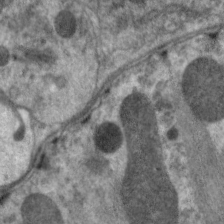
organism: C. elegans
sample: Pharynx